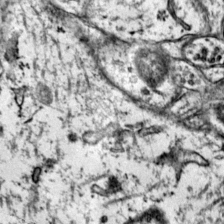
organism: Mouse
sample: Primary visual cortex